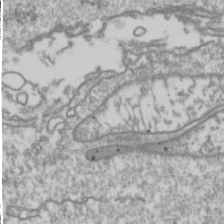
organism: Drosophila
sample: Cell division; meiosis; drosophila spermatocytes